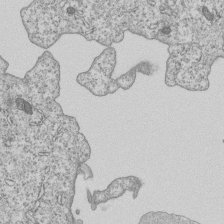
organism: Human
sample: MDA-MB-231 cells